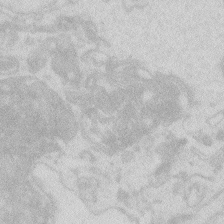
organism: Zebrafish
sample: Macrophage